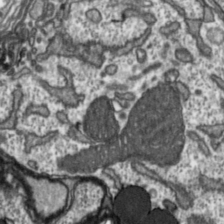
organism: Toxoplasma gondii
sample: Parasites in a vacuole inside a host cell